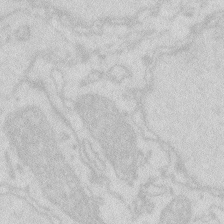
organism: Zebrafish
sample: Macrophage